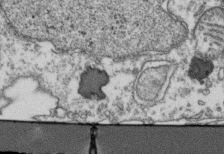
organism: Human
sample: Activated Jurkat CD4+ T cells